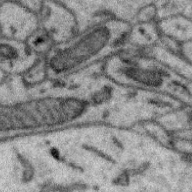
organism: Zebra finch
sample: Brain